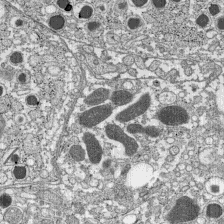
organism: C57BL Mouse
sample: Pancreatic islet